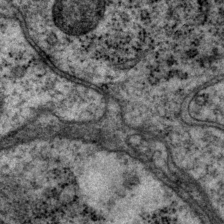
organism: P. pacificus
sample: Pharynx